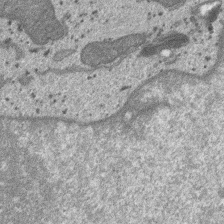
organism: Human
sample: Lung epithelial cells infected with SARS-CoV-2